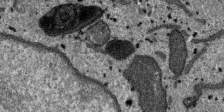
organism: Human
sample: Lung epithelial cells, uninfected (mock) control